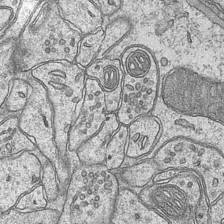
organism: Mouse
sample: CA1 Hippocampus